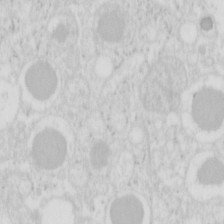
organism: Mouse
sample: Pancreas